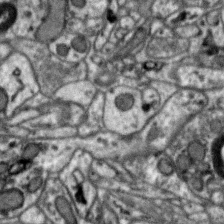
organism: Zebra finch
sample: Brain